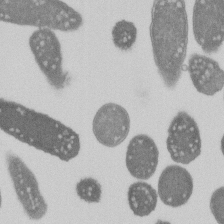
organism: E. coli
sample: Bacterial nucleoid